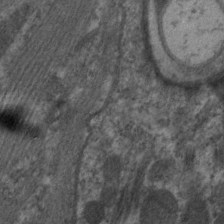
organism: C. elegans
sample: Pharynx